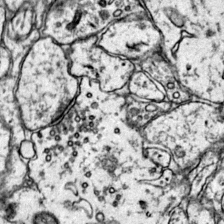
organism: Mouse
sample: Primary visual cortex